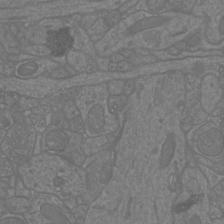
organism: Mouse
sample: Cortical neurons